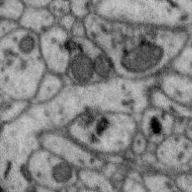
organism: Zebra finch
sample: Brain